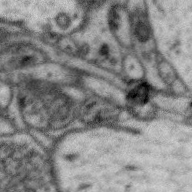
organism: Zebra finch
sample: Brain